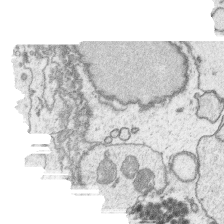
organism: Platynereis dumerilii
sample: Parapodia